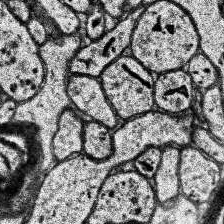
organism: Human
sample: Temporal Lobe